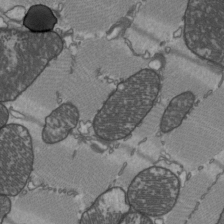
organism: C57BL Mouse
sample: Heart